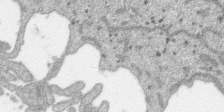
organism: Human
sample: Lung epithelial cells infected with SARS-CoV-2